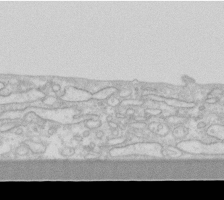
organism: Human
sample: Fibroblast cells